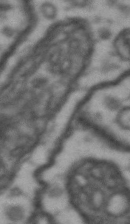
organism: Drosophila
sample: Brain